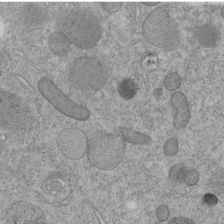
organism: C. elegans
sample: C. elegans embryo early stage